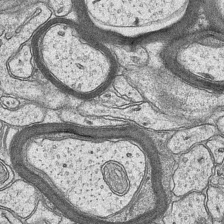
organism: Mouse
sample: CA1 Hippocampus